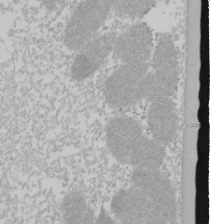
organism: Mouse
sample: Cancer cell death in ED-1 cells